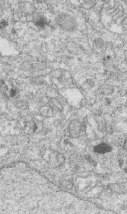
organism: Human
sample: HeLa cell HIV synapse